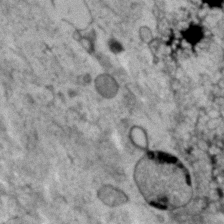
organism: Human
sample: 1205lu cells